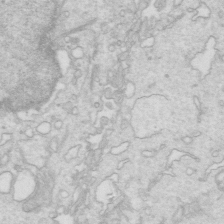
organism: Mouse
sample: Multiciliated cells